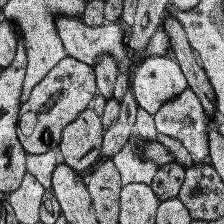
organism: Human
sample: Temporal Lobe